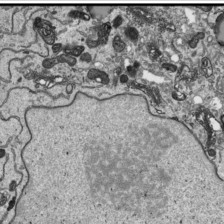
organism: Human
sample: Mitochondria in HCT116 cells